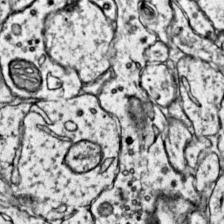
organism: Mouse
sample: Primary visual cortex